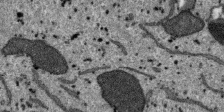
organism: Human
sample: Lung epithelial cells, uninfected (mock) control